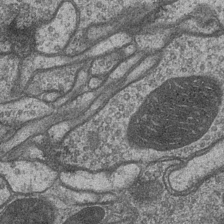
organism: Drosophila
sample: Optic medulla